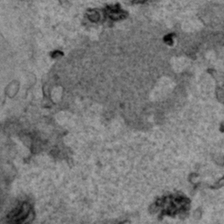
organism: Human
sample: Mitochondria in HCT116 cells